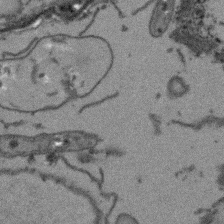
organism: Arabidopsis thaliana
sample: Root tip